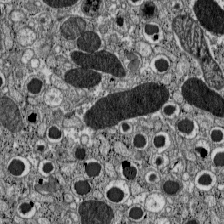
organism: C57BL Mouse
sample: Pancreatic islet